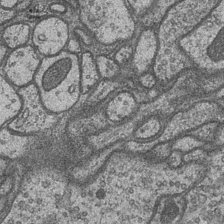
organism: Drosophila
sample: Optic medulla